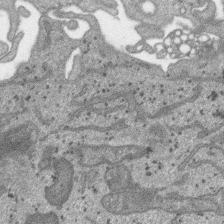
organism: Human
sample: Lung epithelial cells infected with SARS-CoV-2